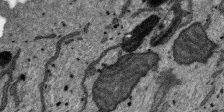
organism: Human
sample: Lung epithelial cells, uninfected (mock) control